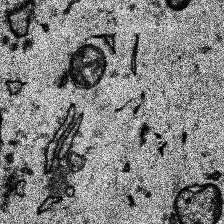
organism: Human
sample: Temporal Lobe